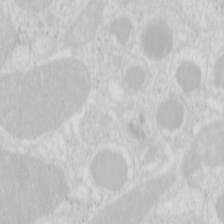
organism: Mouse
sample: Pancreas